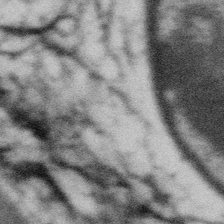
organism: Gemmata obscuriglobus